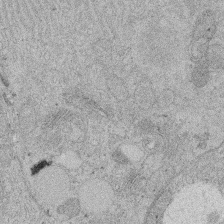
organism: Rat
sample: Salivary granule